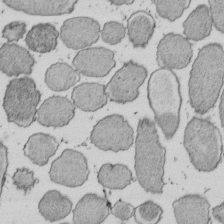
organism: E. coli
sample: Bacterial nucleoid